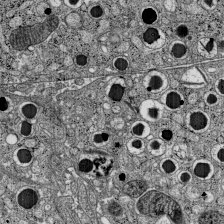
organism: C57BL Mouse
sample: Pancreatic islet